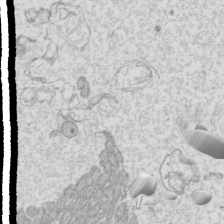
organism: Mouse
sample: Cilia; mouse epididymis